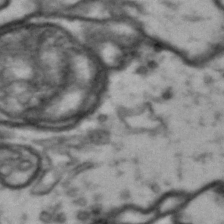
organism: Drosophila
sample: Brain